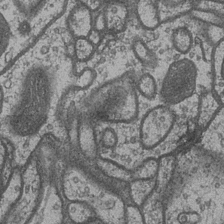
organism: Drosophila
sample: Optic medulla